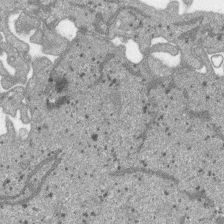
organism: Human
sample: Lung epithelial cells infected with SARS-CoV-2